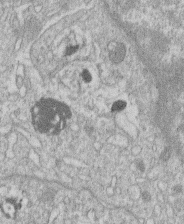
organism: Human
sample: Macrophage cells